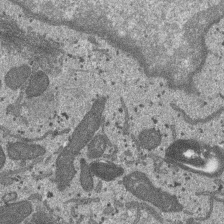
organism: Human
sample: Lung epithelial cells infected with SARS-CoV-2